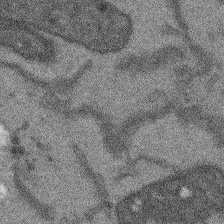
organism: Arabidopsis thaliana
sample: Root tip